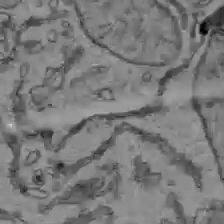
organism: C57BL Mouse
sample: Liver